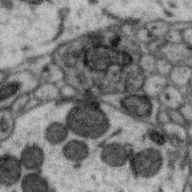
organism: Zebra finch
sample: Brain